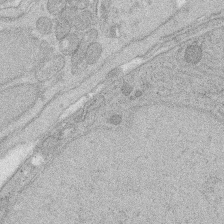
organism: Rat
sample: Salivary granule